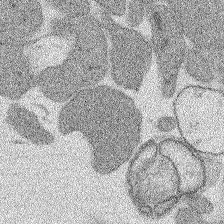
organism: Human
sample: HeLa cells